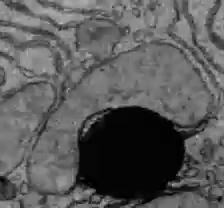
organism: C57BL Mouse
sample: Liver